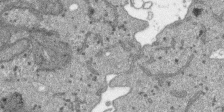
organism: Human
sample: Lung epithelial cells infected with SARS-CoV-2